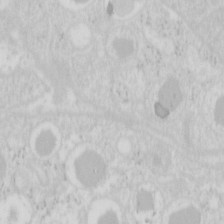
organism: Mouse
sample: Pancreas